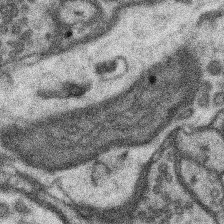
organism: Mouse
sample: Somatosensory cortex neuropil